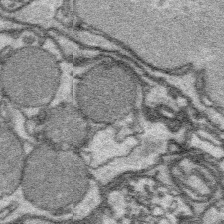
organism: Platynereis dumerilii